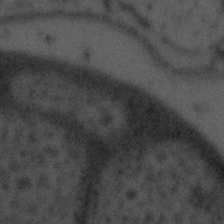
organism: Tuwongella immobilis